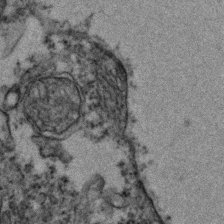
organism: Zebrafish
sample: Zebrafish embryo